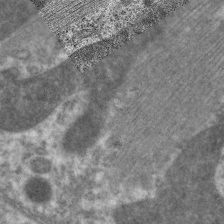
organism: C. elegans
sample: Pharynx